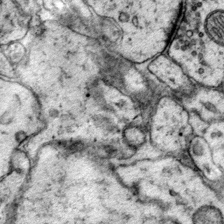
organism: Mouse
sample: Primary visual cortex